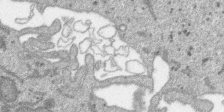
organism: Human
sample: Lung epithelial cells infected with SARS-CoV-2